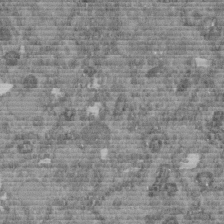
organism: C. elegans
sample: C. elegans embryo early stage